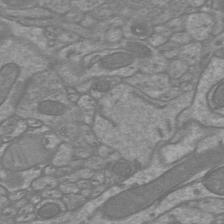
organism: Mouse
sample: Cortical neurons